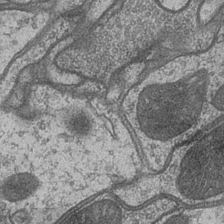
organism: Drosophila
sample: Optic medulla